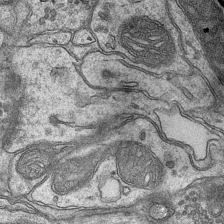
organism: Mouse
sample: CA1 Hippocampus